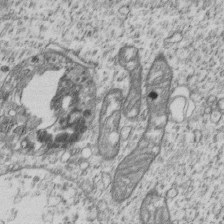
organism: Human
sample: MDA-MB-231 cells